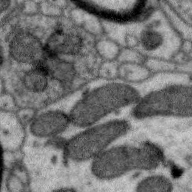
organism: Zebra finch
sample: Brain